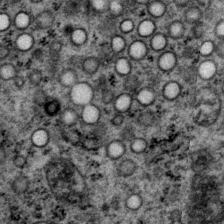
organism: P. pacificus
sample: Pharynx